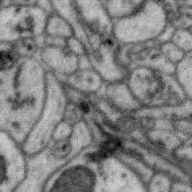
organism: Zebra finch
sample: Brain